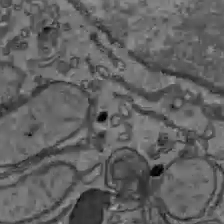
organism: C57BL Mouse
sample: Liver